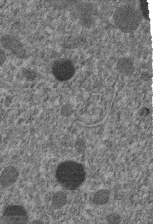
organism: C. elegans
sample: C. elegans embryo early stage